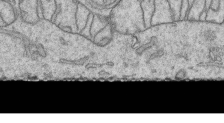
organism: Human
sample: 1205lu cells